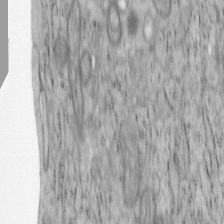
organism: Human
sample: HeLa cells